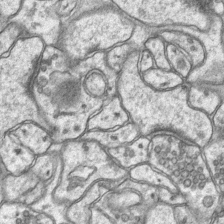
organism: Mouse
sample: CA1 Hippocampus